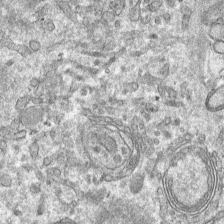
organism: Mouse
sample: Mouse hepatocytes